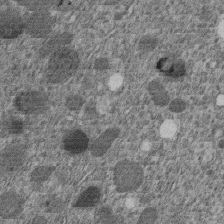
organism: C. elegans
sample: C. elegans embryo early stage